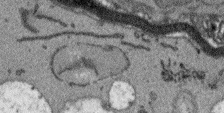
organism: Arabidopsis thaliana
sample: Root tip